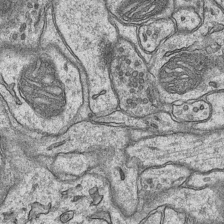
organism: Mouse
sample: CA1 Hippocampus